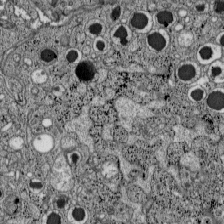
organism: C57BL Mouse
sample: Pancreatic islet